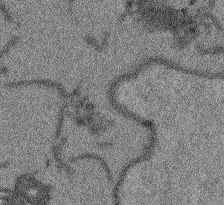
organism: Arabidopsis thaliana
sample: Root tip